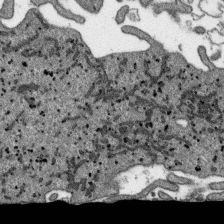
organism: Human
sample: Lung epithelial cells, uninfected (mock) control